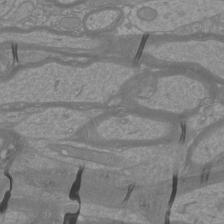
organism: Mouse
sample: Cortical neurons